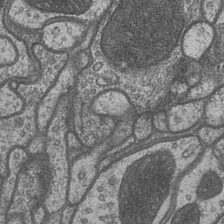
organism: Drosophila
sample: Optic medulla